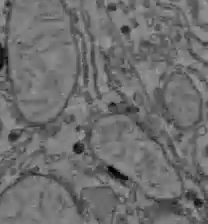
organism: C57BL Mouse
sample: Liver